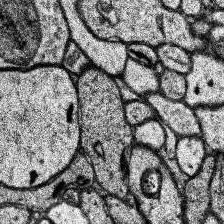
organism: Human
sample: Temporal Lobe